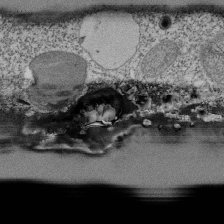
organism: Tetrahymena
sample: Cilia in tetrahymena